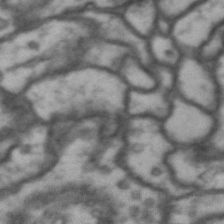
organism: Drosophila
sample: Brain